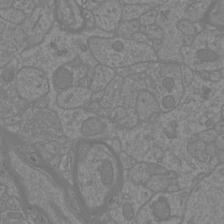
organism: Mouse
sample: Cortical neurons